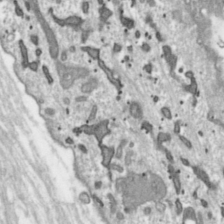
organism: Toxoplasma gondii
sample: Parasites in a vacuole inside a host cell